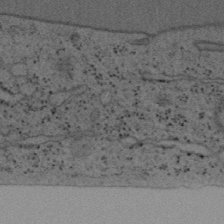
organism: Human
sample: HeLa cells